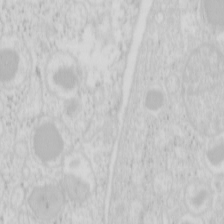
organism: Mouse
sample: Pancreas